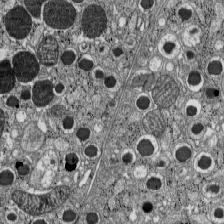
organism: C57BL Mouse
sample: Pancreatic islet